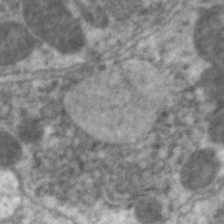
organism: C. elegans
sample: Pharynx